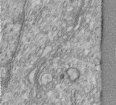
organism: Human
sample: Centriole in RPE cells